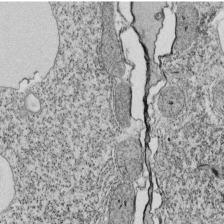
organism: Tetrahymena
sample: Cilia in tetrahymena